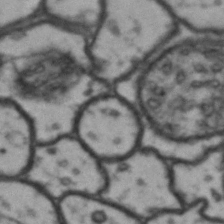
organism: Drosophila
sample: Brain